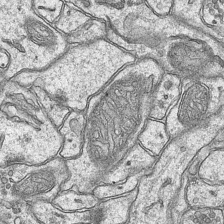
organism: Mouse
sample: CA1 Hippocampus